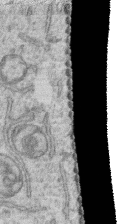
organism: Human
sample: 1205lu cells